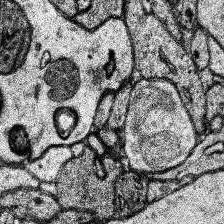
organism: Human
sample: Temporal Lobe